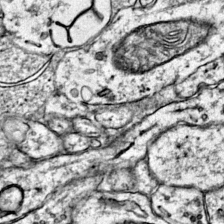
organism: Mouse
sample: Primary visual cortex